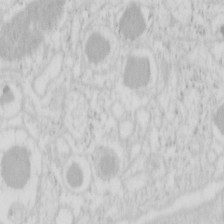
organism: Mouse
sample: Pancreas